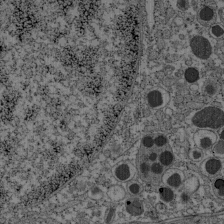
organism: C57BL Mouse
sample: Pancreatic islet